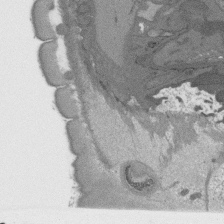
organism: C. elegans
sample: AFD neurons C. elegans